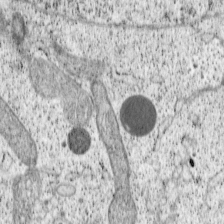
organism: African green monkey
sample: COS-7 cells